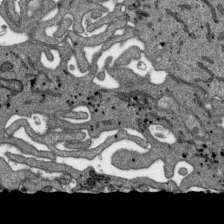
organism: Human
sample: Lung epithelial cells, uninfected (mock) control